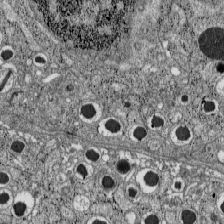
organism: C57BL Mouse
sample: Pancreatic islet